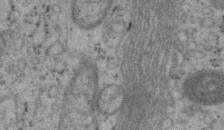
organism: Human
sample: HeLa cells